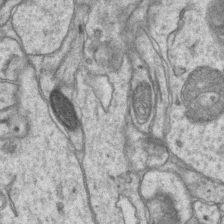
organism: Mouse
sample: CA1 Hippocampus